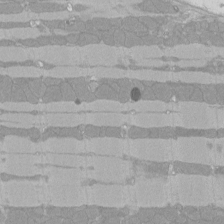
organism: Rat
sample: Left ventricle